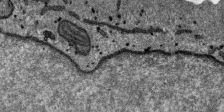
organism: Human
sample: Lung epithelial cells, uninfected (mock) control